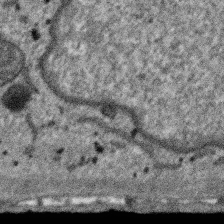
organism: Human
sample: Lung epithelial cells infected with SARS-CoV-2